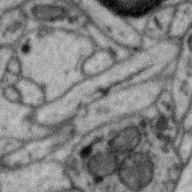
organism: Zebra finch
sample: Brain